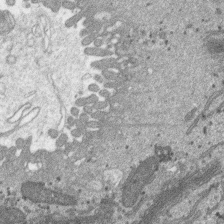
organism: Human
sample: Lung epithelial cells infected with SARS-CoV-2